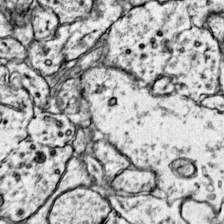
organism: Mouse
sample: Primary visual cortex